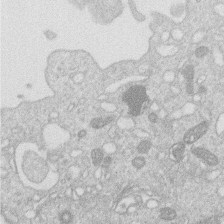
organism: Human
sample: Macrophage cells